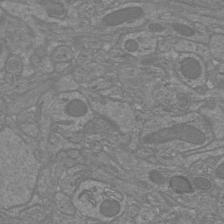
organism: Mouse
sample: Cortical neurons